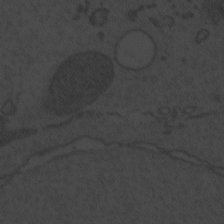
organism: Zebrafish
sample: Macrophage infected with Toxoplasma gondii